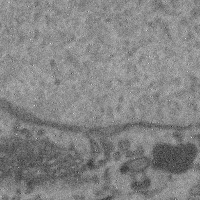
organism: Mouse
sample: Cerebral cortex